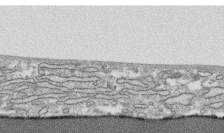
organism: Human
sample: CRL-1474